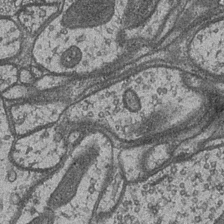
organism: Drosophila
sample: Optic medulla